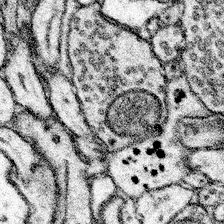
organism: Mouse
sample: Somatosensory cortex neuropil